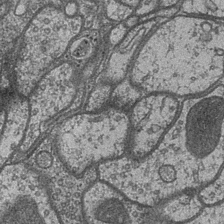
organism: Drosophila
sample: Optic medulla